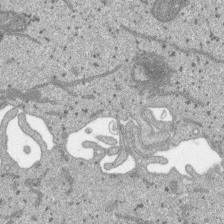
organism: Human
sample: Lung epithelial cells infected with SARS-CoV-2